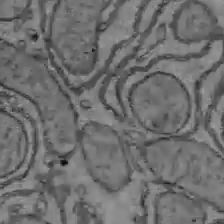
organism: C57BL Mouse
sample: Liver